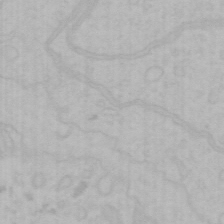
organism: Mouse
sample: Choroid plexus